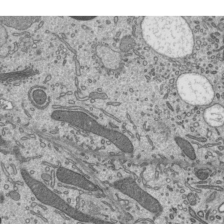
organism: Mouse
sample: Mouse epididymis efferent ductule cilia